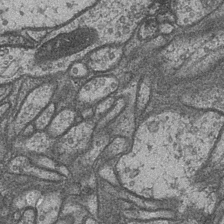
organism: Drosophila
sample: Optic medulla